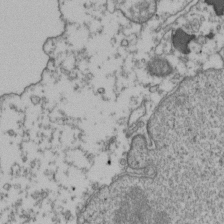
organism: Human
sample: Activated Jurkat CD4+ T cells